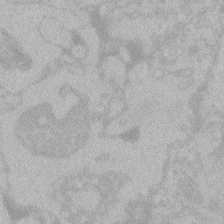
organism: Zebrafish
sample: Macrophage infected with Toxoplasma gondii